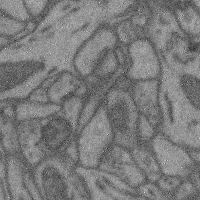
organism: Mouse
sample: Cerebral cortex